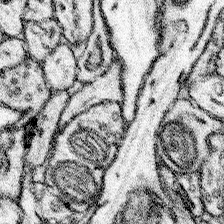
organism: Mouse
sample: Somatosensory cortex neuropil